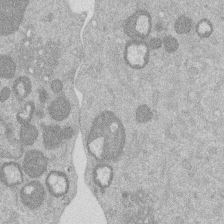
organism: Mouse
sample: Dividing mouse embryo 1 cell stage